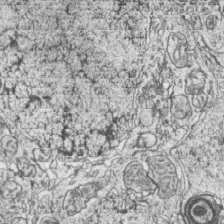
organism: Zebrafish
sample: synaptic ribbons in rod cells and cone cells